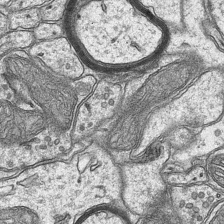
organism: Mouse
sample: CA1 Hippocampus